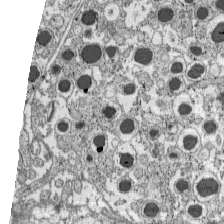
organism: C57BL Mouse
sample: Pancreatic islet